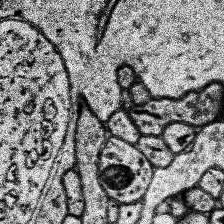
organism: Human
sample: Temporal Lobe